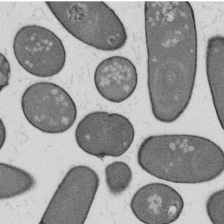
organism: B. subtilis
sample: Bacterial spore